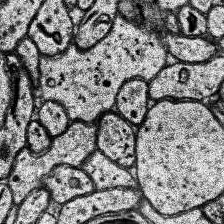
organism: Human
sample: Temporal Lobe